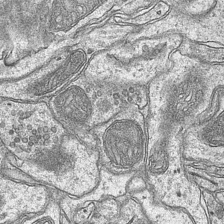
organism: Mouse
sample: CA1 Hippocampus